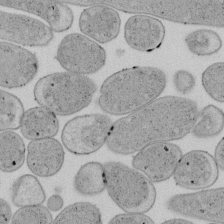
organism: E. coli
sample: Bacterial nucleoid